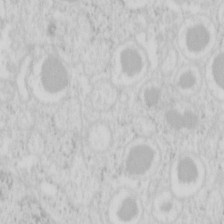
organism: Mouse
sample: Pancreas